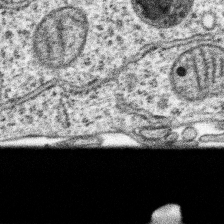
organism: Human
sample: HeLa cells